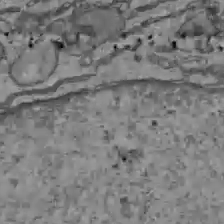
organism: C57BL Mouse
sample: Liver